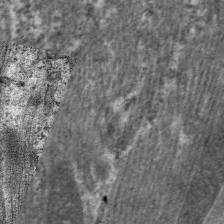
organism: C. elegans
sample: Pharynx